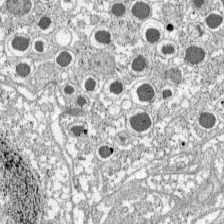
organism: C57BL Mouse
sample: Pancreatic islet